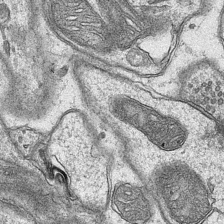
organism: Mouse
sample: CA1 Hippocampus